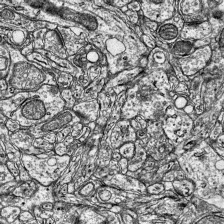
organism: Mouse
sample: Visual Cortex